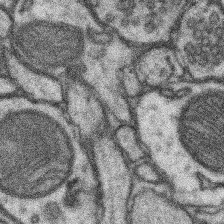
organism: Mouse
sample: Somatosensory cortex neuropil